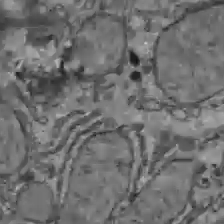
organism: C57BL Mouse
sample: Liver